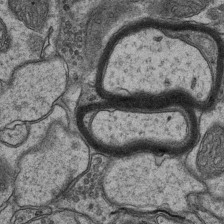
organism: Mouse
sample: CA1 Hippocampus